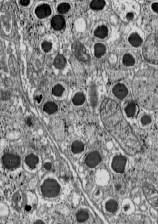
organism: C57BL Mouse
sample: Pancreatic islet